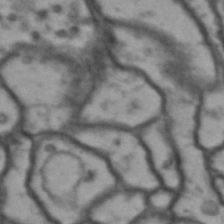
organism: Drosophila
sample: Brain